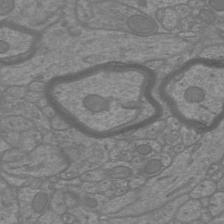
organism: Mouse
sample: Cortical neurons